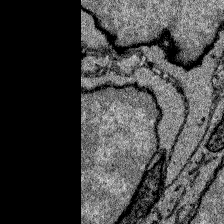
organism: Zebrafish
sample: Larval olfactory bulb